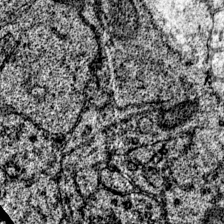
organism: Mouse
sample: Primary visual cortex